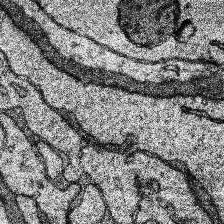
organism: Human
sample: Temporal Lobe